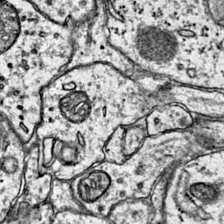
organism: Mouse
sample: Primary visual cortex